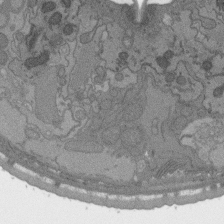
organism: C. elegans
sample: AFD neurons C. elegans